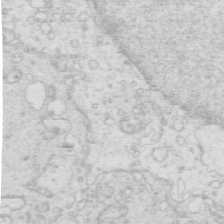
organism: Mouse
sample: Multiciliated cells